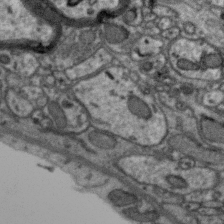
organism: Zebra finch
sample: Brain